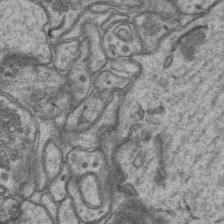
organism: Mouse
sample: CA1 Hippocampus